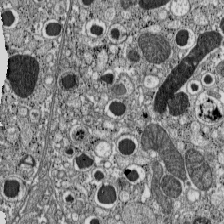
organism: C57BL Mouse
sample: Pancreatic islet